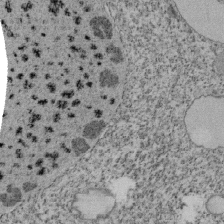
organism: Tetrahymena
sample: Cilia in tetrahymena